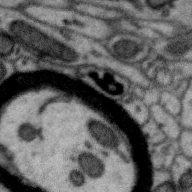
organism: Zebra finch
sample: Brain